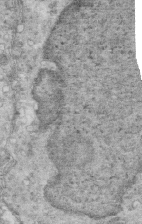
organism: Mouse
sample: Multiciliated cells